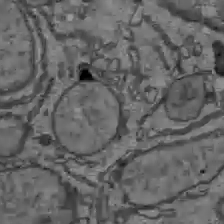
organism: C57BL Mouse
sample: Liver